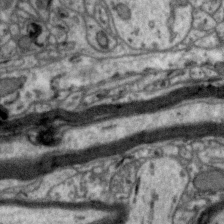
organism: Zebra finch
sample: Brain